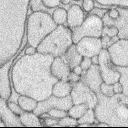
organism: Rabbit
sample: Retina